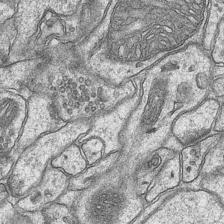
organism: Mouse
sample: CA1 Hippocampus